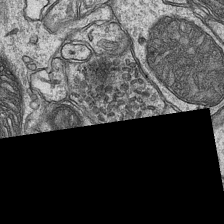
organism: Mouse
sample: CA1 Hippocampus